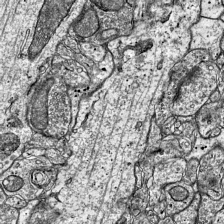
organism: Mouse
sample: Visual Cortex